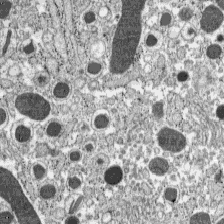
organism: C57BL Mouse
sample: Pancreatic islet